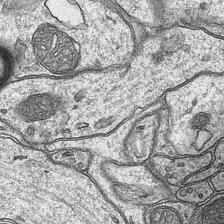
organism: Mouse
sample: CA1 Hippocampus